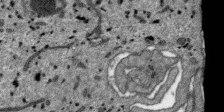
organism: Human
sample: Lung epithelial cells, uninfected (mock) control